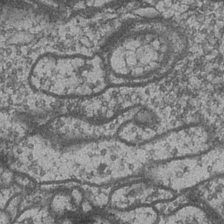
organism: Drosophila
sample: Optic medulla